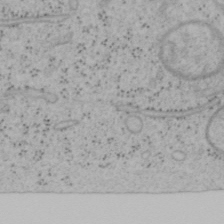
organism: Human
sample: HeLa cells